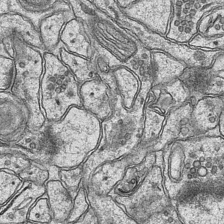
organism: Mouse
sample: CA1 Hippocampus